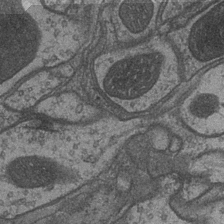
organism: Drosophila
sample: Optic medulla